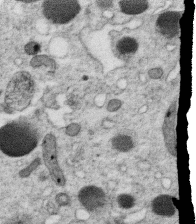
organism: C. elegans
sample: C. elegans oocyte; sperm cells